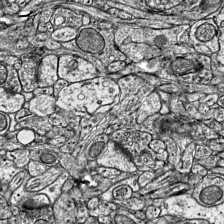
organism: Mouse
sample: Visual Cortex